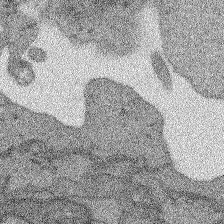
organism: Human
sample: HeLa cells